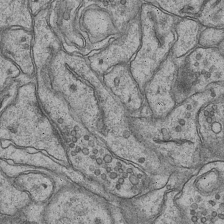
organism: Mouse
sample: CA1 Hippocampus